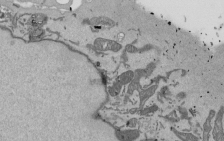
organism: Mouse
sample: ED-1 cell nuclei; centrioles